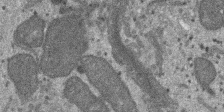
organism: Human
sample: Lung epithelial cells infected with SARS-CoV-2